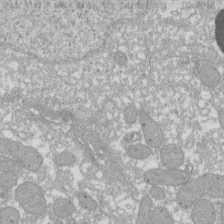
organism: Xenopus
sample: Cilia; centrioles in frog embryo cells